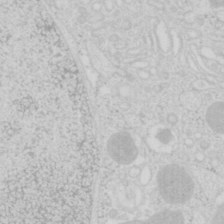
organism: Mouse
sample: Pancreas